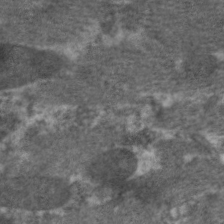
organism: C. elegans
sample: Pharynx